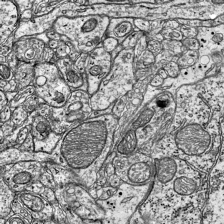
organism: Mouse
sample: Visual Cortex